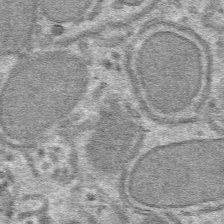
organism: Mouse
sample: Mouse hepatocytes